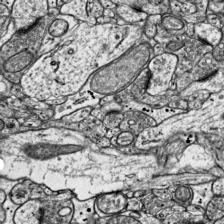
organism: Mouse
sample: Visual Cortex